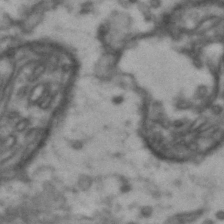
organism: Drosophila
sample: Brain